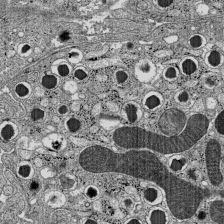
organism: C57BL Mouse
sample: Pancreatic islet